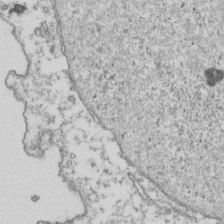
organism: Human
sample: Activated Jurkat CD4+ T cells